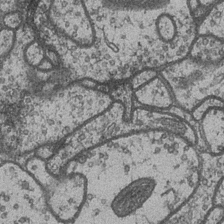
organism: Drosophila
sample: Optic medulla